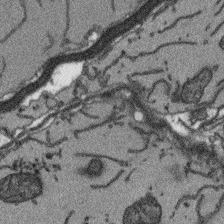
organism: Arabidopsis thaliana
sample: Root tip